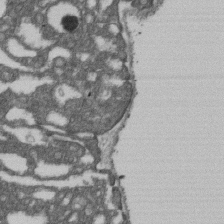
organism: Drosophila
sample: Nephrocyte